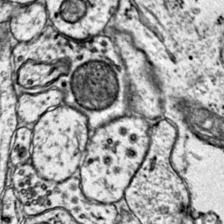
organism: Mouse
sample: Primary visual cortex